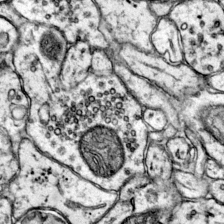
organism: Mouse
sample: Primary visual cortex